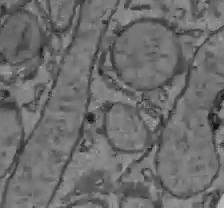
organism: C57BL Mouse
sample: Liver